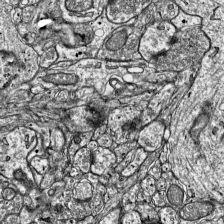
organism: Mouse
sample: Visual Cortex